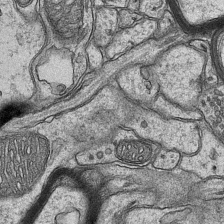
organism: Mouse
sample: CA1 Hippocampus